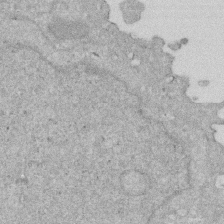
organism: Human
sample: HIV infected U937 cells